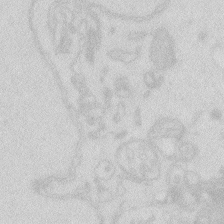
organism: Zebrafish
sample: Macrophage